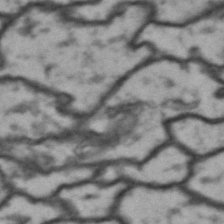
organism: Drosophila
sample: Brain